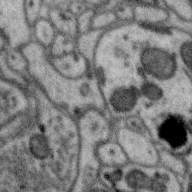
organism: Zebra finch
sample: Brain